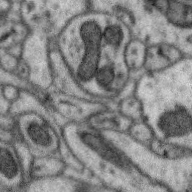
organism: Zebra finch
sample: Brain